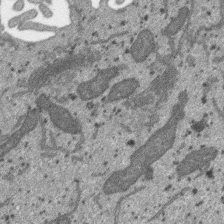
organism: Human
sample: Lung epithelial cells infected with SARS-CoV-2